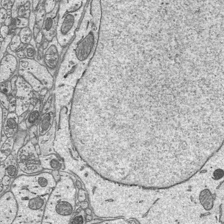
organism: Mouse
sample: Suprachiasmatic nucleus